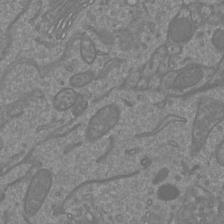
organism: Mouse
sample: Cortical neurons